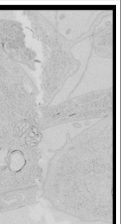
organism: Human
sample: Mitochondria in HCT116 cells